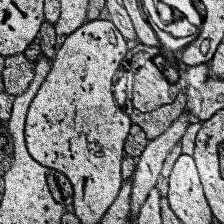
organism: Human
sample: Temporal Lobe